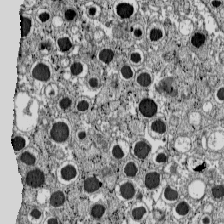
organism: C57BL Mouse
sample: Pancreatic islet